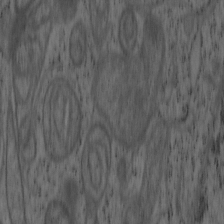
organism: Human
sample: HeLa cells